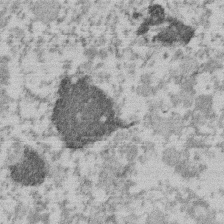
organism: Mouse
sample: Dividing mouse embryo 1 cell stage